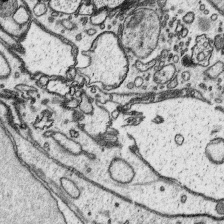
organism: Platynereis dumerilii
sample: Parapodia